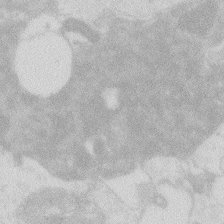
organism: Zebrafish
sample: Macrophage